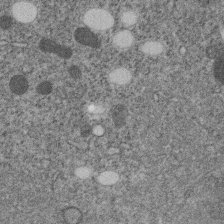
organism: C. elegans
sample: C. elegans embryo early stage